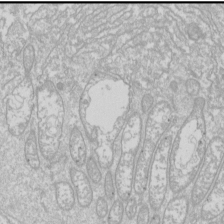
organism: Drosophila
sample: Cell division; meiosis; drosophila spermatocytes